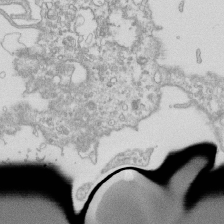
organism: Mouse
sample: Macrophages